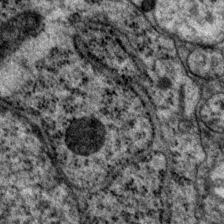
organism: P. pacificus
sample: Pharynx